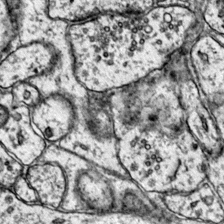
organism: Mouse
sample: Primary visual cortex